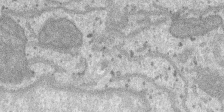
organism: Human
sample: Lung epithelial cells infected with SARS-CoV-2